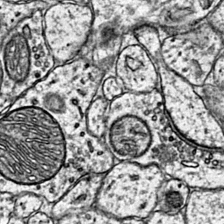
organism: Mouse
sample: Primary visual cortex